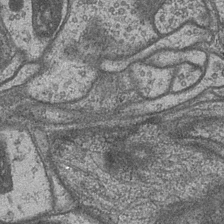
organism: Drosophila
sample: Optic medulla